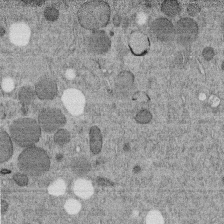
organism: C. elegans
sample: C. elegans embryo early stage